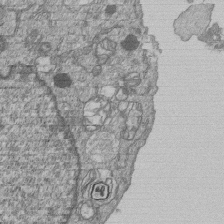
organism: Human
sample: MDA-MB-231 cells